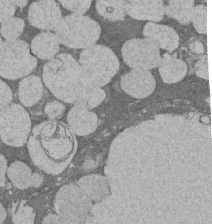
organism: Rat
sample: Salivary granule